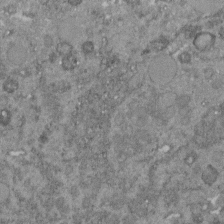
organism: C. elegans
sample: C. elegans embryo early stage